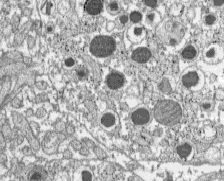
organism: C57BL Mouse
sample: Pancreatic islet